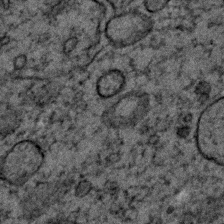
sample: Trachea